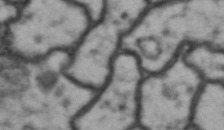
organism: Drosophila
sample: Brain